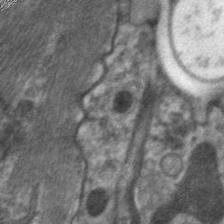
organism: C. elegans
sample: Pharynx